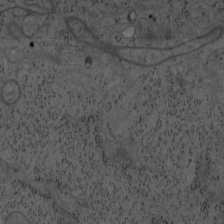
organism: Mouse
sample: OT-I killer T cells with ID8 ovarian cancer cells